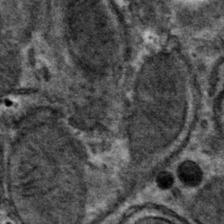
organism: Mouse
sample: Mouse hepatocytes